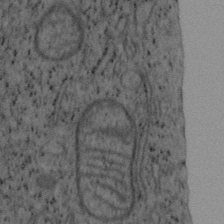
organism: Human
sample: HeLa cells